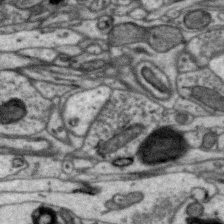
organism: Zebra finch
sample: Brain